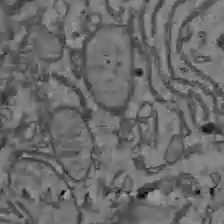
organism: C57BL Mouse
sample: Liver